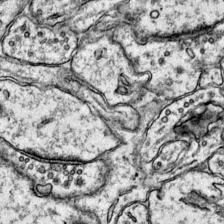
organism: Mouse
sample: Primary visual cortex